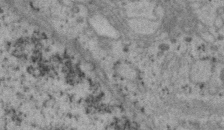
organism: Human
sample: HeLa cells